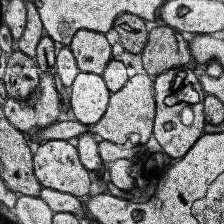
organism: Human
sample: Temporal Lobe